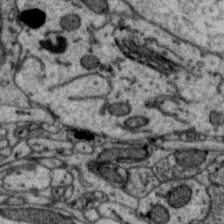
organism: Zebra finch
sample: Brain